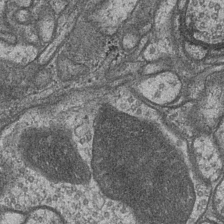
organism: Drosophila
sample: Optic medulla